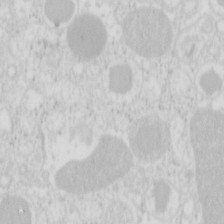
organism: Mouse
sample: Pancreas